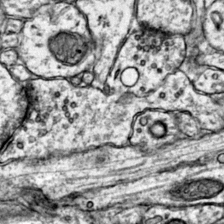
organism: Mouse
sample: Primary visual cortex